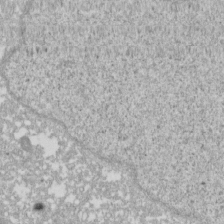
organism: Xenopus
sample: Cilia; centrioles in frog embryo cells